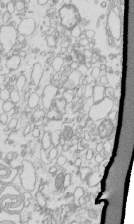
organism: Mouse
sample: Macrophages